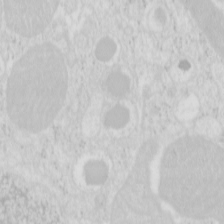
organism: Mouse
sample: Pancreas